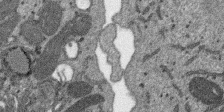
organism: Human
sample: Lung epithelial cells infected with SARS-CoV-2